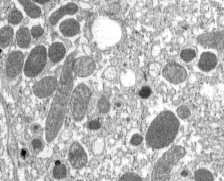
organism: C57BL Mouse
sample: Pancreatic islet